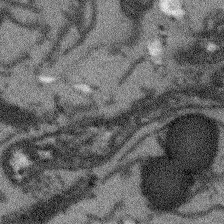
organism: Arabidopsis thaliana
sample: Root tip